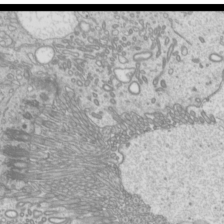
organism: Mouse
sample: Cilia; mouse epididymis